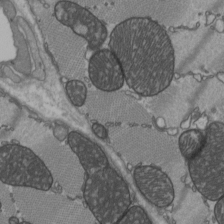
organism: C57BL Mouse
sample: Heart